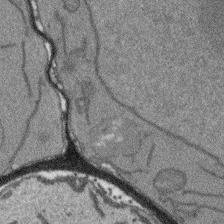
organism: Arabidopsis thaliana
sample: Root tip